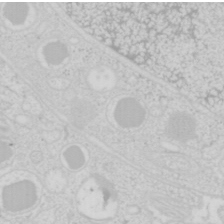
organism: Mouse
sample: Pancreas